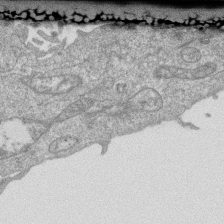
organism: Human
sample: HeLa cell HIV synapse